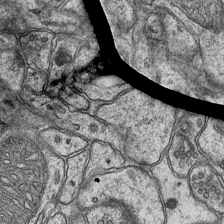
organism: Mouse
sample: CA1 Hippocampus